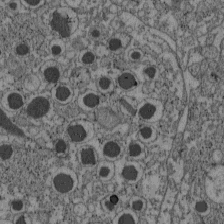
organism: C57BL Mouse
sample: Pancreatic islet